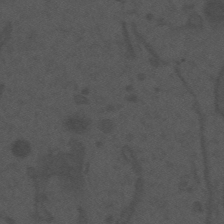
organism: Mouse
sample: Suprachiasmatic nucleus